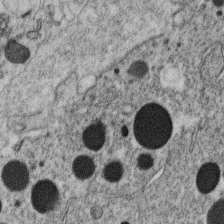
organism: C. elegans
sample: C. elegans oocyte; sperm cells